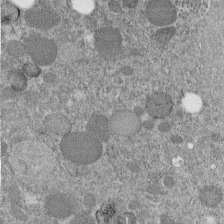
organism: C. elegans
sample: C. elegans embryo early stage